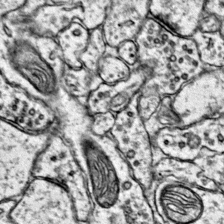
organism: Mouse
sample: Primary visual cortex